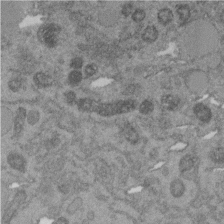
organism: C. elegans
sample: C. elegans embryo early stage